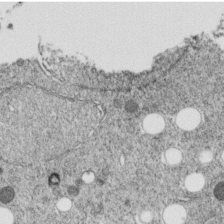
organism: C. elegans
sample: C. elegans embryo early stage